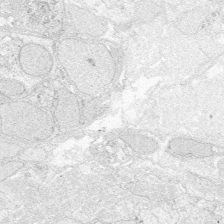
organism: Zebrafish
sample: Whole-Brain